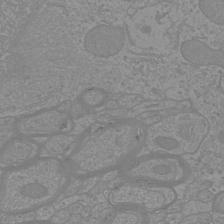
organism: Mouse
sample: Cortical neurons